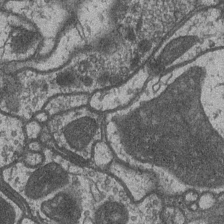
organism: Drosophila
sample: Optic medulla